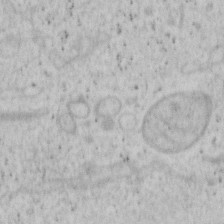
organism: Human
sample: HeLa cells